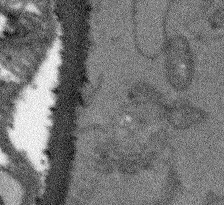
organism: Arabidopsis thaliana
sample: Root tip